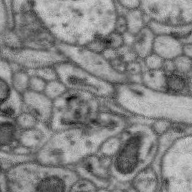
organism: Zebra finch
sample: Brain